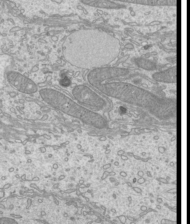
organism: Mouse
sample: Cilia; mouse epididymis